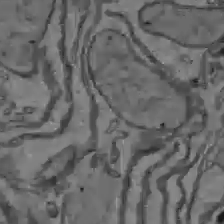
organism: C57BL Mouse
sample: Liver